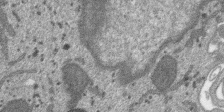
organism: Human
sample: Lung epithelial cells infected with SARS-CoV-2